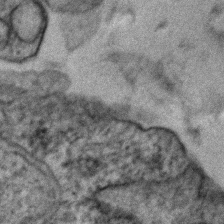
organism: Human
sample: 1205lu cells